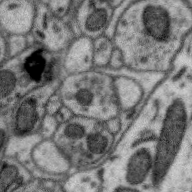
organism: Zebra finch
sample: Brain